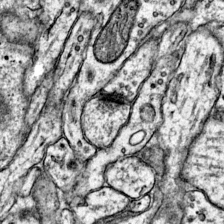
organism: Mouse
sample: Primary visual cortex